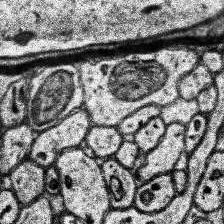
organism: Human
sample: Temporal Lobe